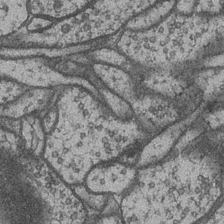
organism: Drosophila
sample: Optic medulla